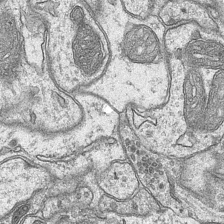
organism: Mouse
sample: CA1 Hippocampus